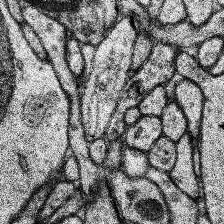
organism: Human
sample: Temporal Lobe